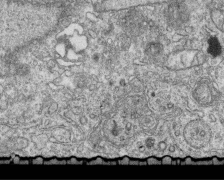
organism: Human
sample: HeLa cell HIV synapse